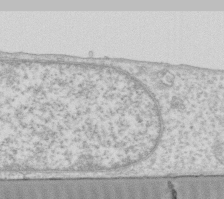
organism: Human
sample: Fibroblast cells